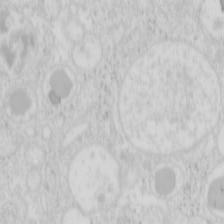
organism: Mouse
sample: Pancreas